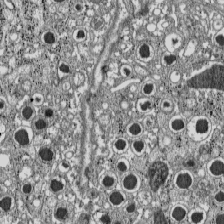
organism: C57BL Mouse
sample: Pancreatic islet